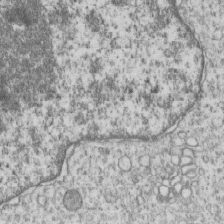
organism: Human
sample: MDA-MB-231 cells